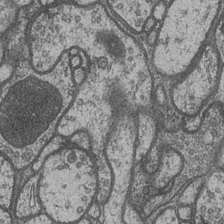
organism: Drosophila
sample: Optic medulla